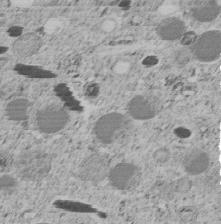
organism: C. elegans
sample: C. elegans embryo early stage